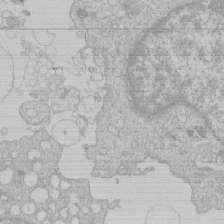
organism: Human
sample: Macrophage cells